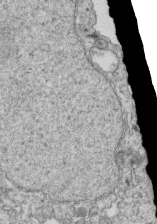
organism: Human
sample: HeLa cell HIV synapse